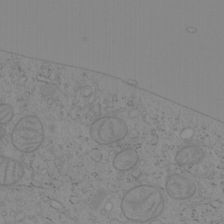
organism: Human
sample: HeLa cells